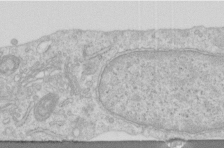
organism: Human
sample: Centriole in RPE cells